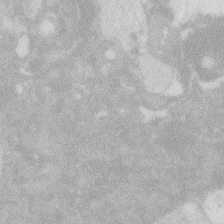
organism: Zebrafish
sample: Macrophage